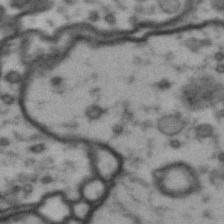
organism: Drosophila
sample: Brain